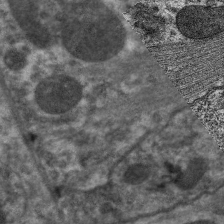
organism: C. elegans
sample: Pharynx